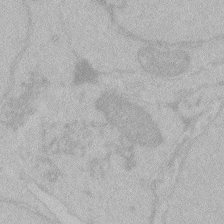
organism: Zebrafish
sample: Macrophage infected with Toxoplasma gondii